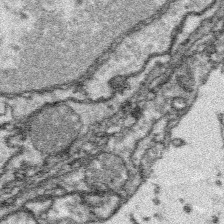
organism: Platynereis dumerilii